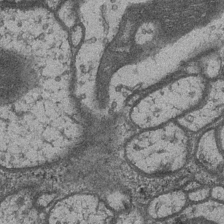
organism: Drosophila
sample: Optic medulla